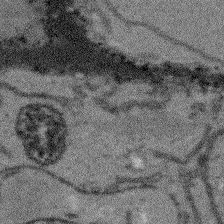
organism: Arabidopsis thaliana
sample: Root tip